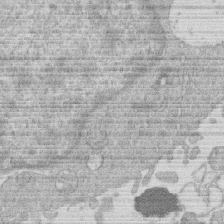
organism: Human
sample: Macrophage cells